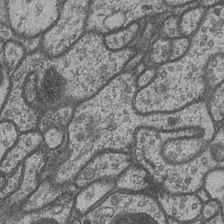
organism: Drosophila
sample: Optic medulla